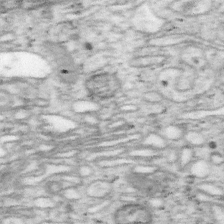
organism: Mouse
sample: OT-I killer T cells with ID8 ovarian cancer cells